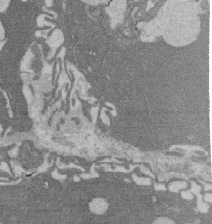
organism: Rat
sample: Salivary granule